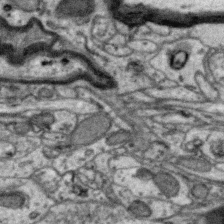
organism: Zebra finch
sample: Brain